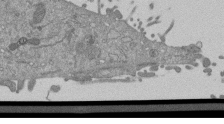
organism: Mouse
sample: ED-1 cell nuclei; centrioles